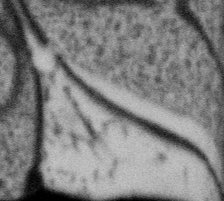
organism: Gemmata obscuriglobus